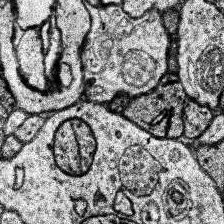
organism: Human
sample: Temporal Lobe